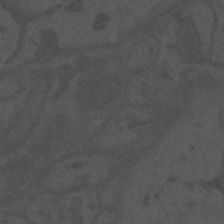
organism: Mouse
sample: Suprachiasmatic nucleus